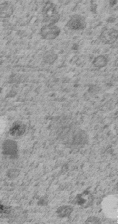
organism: C. elegans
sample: C. elegans embryo early stage